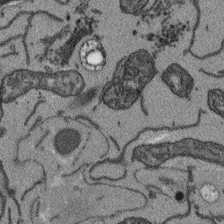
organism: Arabidopsis thaliana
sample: Root tip